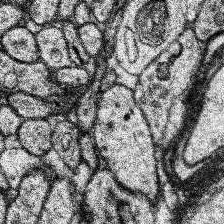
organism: Human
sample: Temporal Lobe